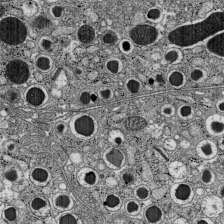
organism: C57BL Mouse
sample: Pancreatic islet